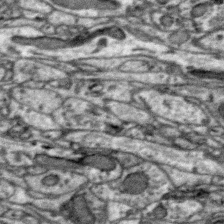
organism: Zebra finch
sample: Brain